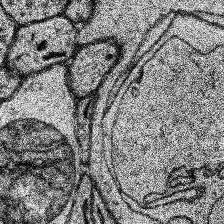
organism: Human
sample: Temporal Lobe